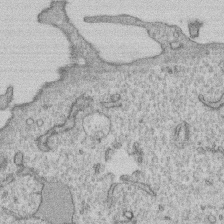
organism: Human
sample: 1205lu cells